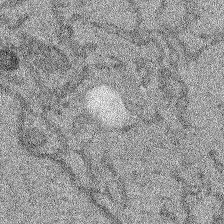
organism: Human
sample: HeLa cells